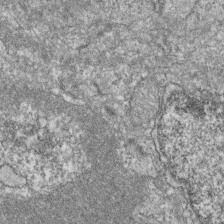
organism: Zebrafish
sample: Cilia; retinal pigment epithelium